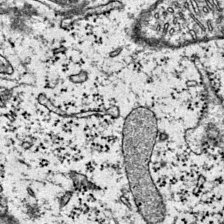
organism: Mouse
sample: Primary visual cortex